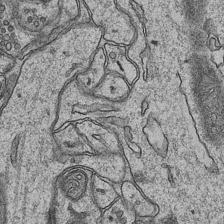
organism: Mouse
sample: CA1 Hippocampus